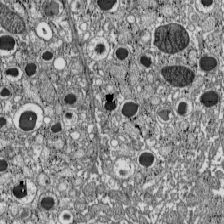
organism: C57BL Mouse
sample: Pancreatic islet